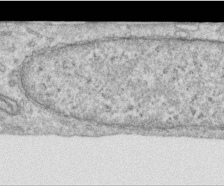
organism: Human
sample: Centriole in RPE cells